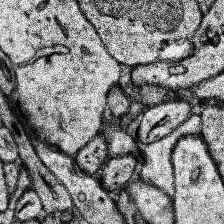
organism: Human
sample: Temporal Lobe